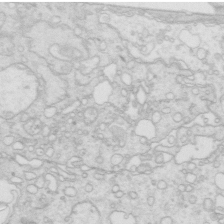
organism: Mouse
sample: Multiciliated cells